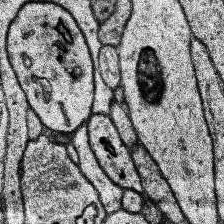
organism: Human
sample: Temporal Lobe